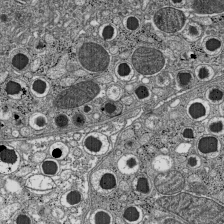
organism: C57BL Mouse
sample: Pancreatic islet